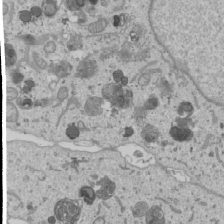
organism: Human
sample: Mitochondria in U2OS cells